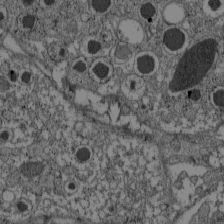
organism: C57BL Mouse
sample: Pancreatic islet